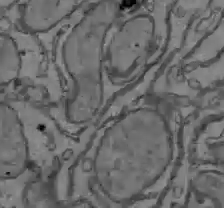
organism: C57BL Mouse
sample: Liver